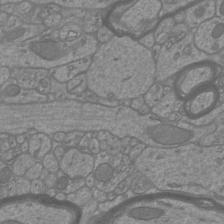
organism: Mouse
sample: Cortical neurons